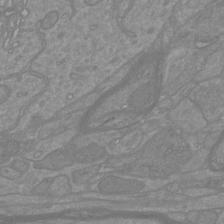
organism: Mouse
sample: Cortical neurons